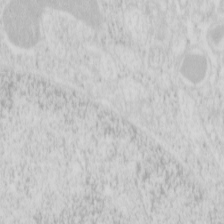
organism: Mouse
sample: Pancreas